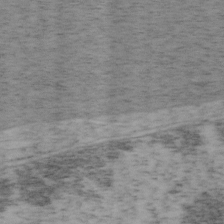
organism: Mouse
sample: OT-I killer T cells with ID8 ovarian cancer cells